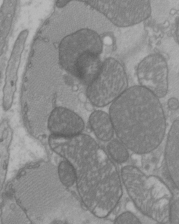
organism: C57BL Mouse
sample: Heart